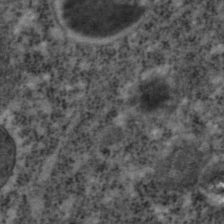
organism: C. elegans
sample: C. elegans embryo